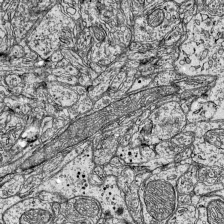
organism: Mouse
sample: Visual Cortex